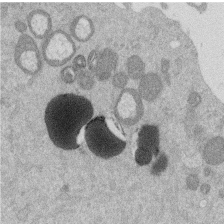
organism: Mouse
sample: Dividing mouse embryo 1 cell stage